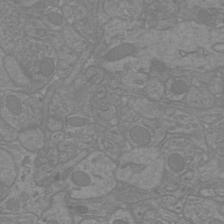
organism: Mouse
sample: Cortical neurons